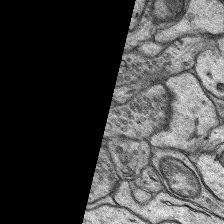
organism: Rat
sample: Hippocampus